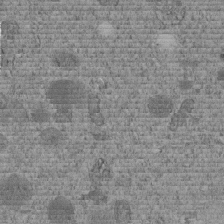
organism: C. elegans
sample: C. elegans embryo early stage